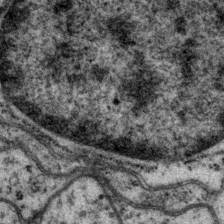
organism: P. pacificus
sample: Pharynx